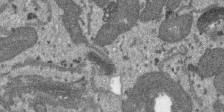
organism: Human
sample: Lung epithelial cells infected with SARS-CoV-2